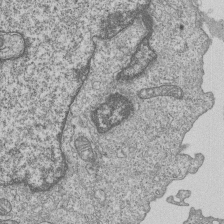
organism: Human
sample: MDA-MB-231 cells